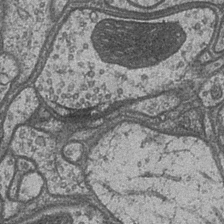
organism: Drosophila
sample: Optic medulla